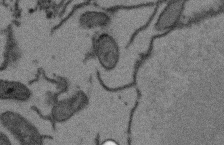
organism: Arabidopsis thaliana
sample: Root tip